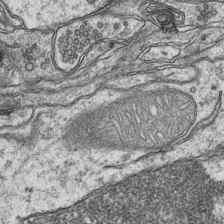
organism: Mouse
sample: CA1 Hippocampus